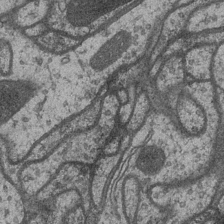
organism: Drosophila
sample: Optic medulla